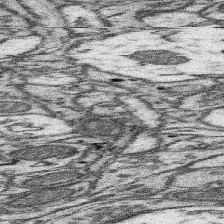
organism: Mouse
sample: Somatosensory cortex neuropil